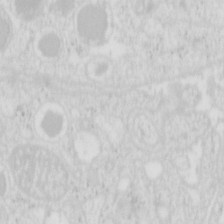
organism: Mouse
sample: Pancreas